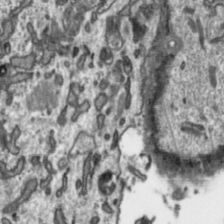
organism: Toxoplasma gondii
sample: Parasites in a vacuole inside a host cell